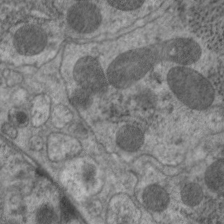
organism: C. elegans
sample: Pharynx